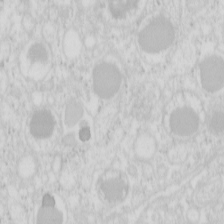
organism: Mouse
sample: Pancreas